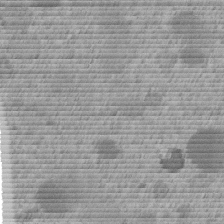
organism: C. elegans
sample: C. elegans embryo early stage